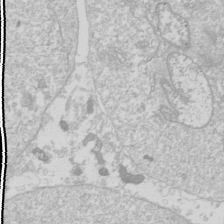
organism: Drosophila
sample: Cell division; meiosis; drosophila spermatocytes